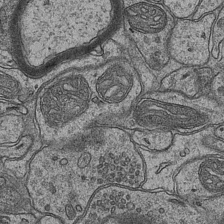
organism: Mouse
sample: CA1 Hippocampus